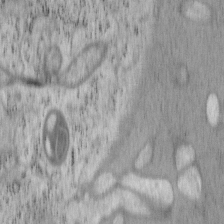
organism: Human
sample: HeLa cells